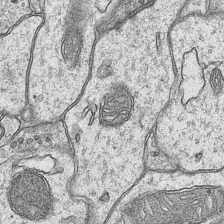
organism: Mouse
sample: CA1 Hippocampus